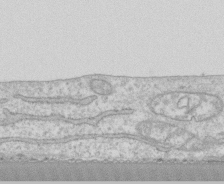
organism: Human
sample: CRL-1474